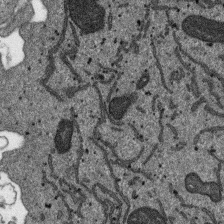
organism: Human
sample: Lung epithelial cells infected with SARS-CoV-2